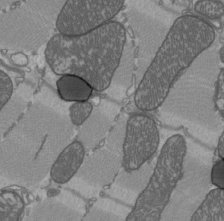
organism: C57BL Mouse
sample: Heart